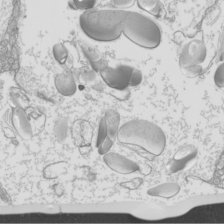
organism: Mouse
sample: Cilia; mouse epididymis